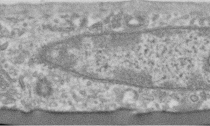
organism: Human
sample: Centriole in RPE cells